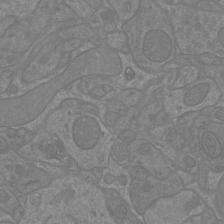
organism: Mouse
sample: Cortical neurons